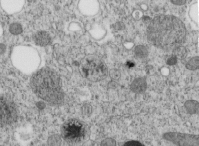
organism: C. elegans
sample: C. elegans embryo early stage